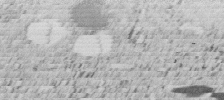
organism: C. elegans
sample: C. elegans embryo early stage